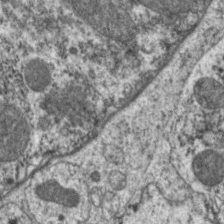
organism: C. elegans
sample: Pharynx